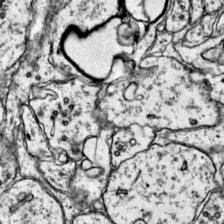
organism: Mouse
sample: Primary visual cortex